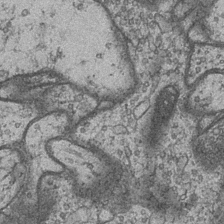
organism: Drosophila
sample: Optic medulla